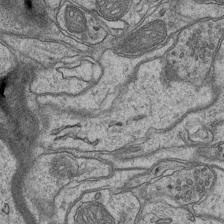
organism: Mouse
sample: CA1 Hippocampus